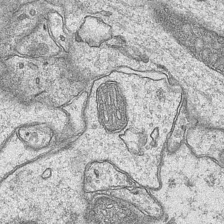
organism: Mouse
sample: CA1 Hippocampus